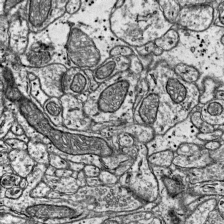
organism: Mouse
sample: Visual Cortex